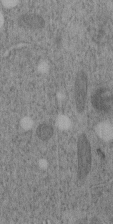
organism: C. elegans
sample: C. elegans embryo early stage